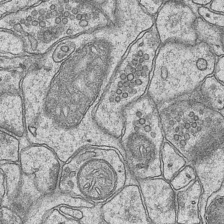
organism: Mouse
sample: CA1 Hippocampus